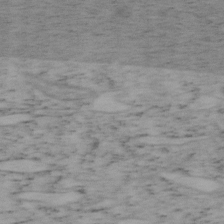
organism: Mouse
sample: OT-I killer T cells with ID8 ovarian cancer cells